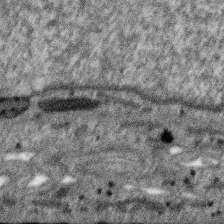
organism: Human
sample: Lung epithelial cells infected with SARS-CoV-2